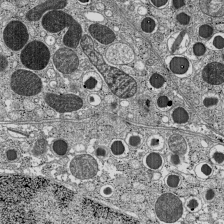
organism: C57BL Mouse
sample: Pancreatic islet